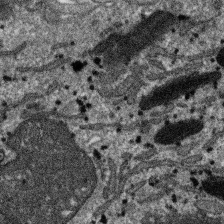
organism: Human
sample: Lung epithelial cells infected with SARS-CoV-2